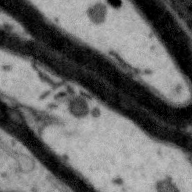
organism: Zebra finch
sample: Brain